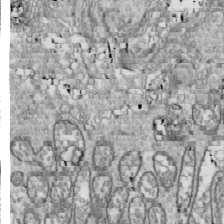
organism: Drosophila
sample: Cell division; meiosis; drosophila spermatocytes